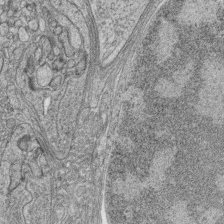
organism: Zebrafish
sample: synaptic ribbons in rod cells and cone cells